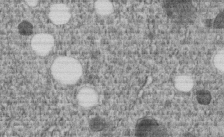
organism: C. elegans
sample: C. elegans embryo early stage